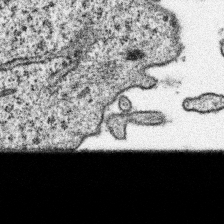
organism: Human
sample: HeLa cells